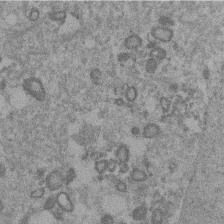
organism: Mouse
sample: Dividing mouse embryo 1 cell stage